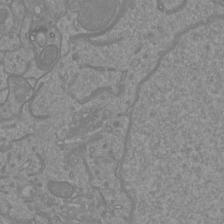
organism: Mouse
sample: Cortical neurons